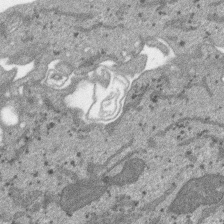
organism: Human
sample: Lung epithelial cells infected with SARS-CoV-2